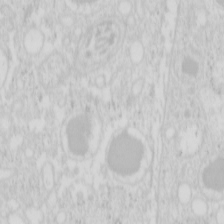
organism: Mouse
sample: Pancreas